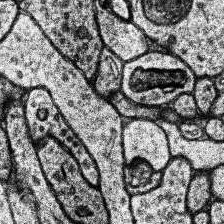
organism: Human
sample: Temporal Lobe